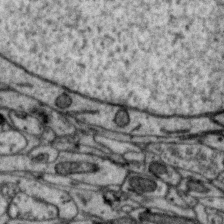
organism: Zebra finch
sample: Brain